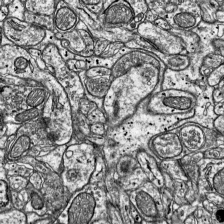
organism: Mouse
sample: Visual Cortex